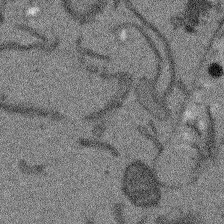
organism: Arabidopsis thaliana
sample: Root tip